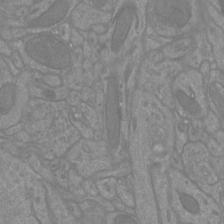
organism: Mouse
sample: Cortical neurons